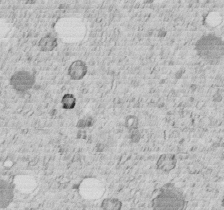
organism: C. elegans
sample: C. elegans embryo early stage